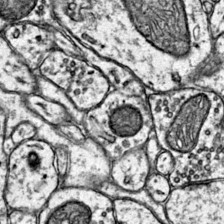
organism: Mouse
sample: Primary visual cortex